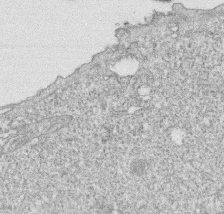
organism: Human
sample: HeLa cell HIV synapse